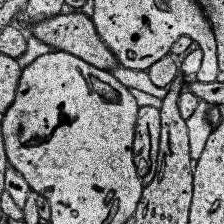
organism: Human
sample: Temporal Lobe